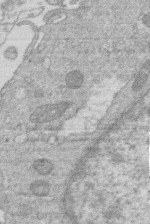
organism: Human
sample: Macrophage cells